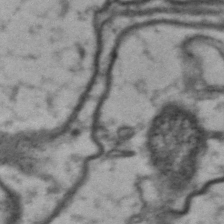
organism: Drosophila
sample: Brain